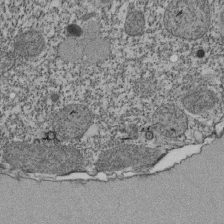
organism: Tetrahymena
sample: Cilia in tetrahymena